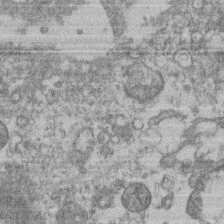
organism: Mouse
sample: T cell stromal cell synapse